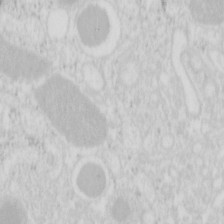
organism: Mouse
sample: Pancreas